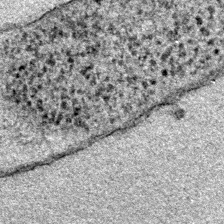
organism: E. coli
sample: E. Coli Bacteria